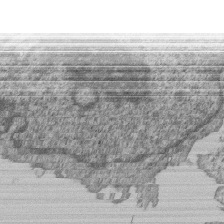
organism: Human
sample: MDA-MB-231 cells